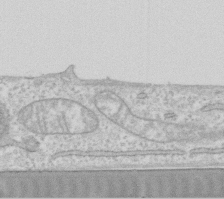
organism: Human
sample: Fibroblast cells